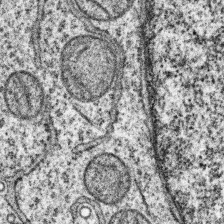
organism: Human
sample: HeLa cells